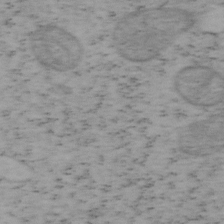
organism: Mouse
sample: OT-I killer T cells with ID8 ovarian cancer cells